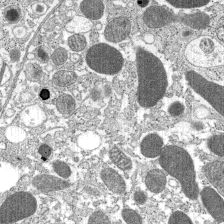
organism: C57BL Mouse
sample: Pancreatic islet